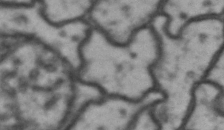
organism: Drosophila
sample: Brain